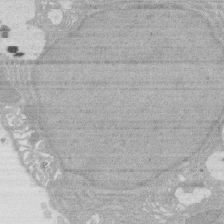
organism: Rat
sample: Salivary granule